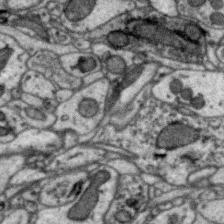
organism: Zebra finch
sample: Brain